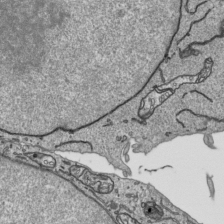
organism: Human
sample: Mitochondria in HCT116 cells